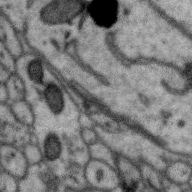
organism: Zebra finch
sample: Brain